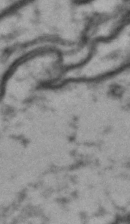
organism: Drosophila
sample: Brain